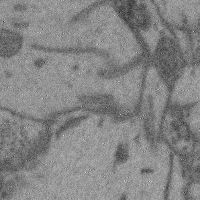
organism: Mouse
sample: Cerebral cortex